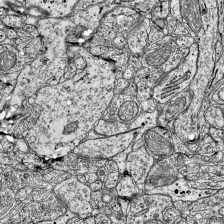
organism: Mouse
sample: Visual Cortex